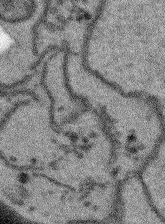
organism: Arabidopsis thaliana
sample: Root tip